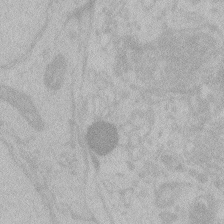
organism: Zebrafish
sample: Macrophage infected with Toxoplasma gondii